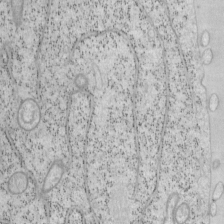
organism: Mouse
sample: OT-I killer T cells with ID8 ovarian cancer cells